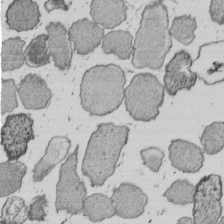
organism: E. coli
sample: Bacterial nucleoid